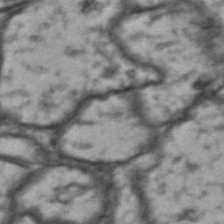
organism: Drosophila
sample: Brain